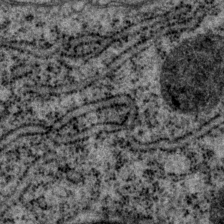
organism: P. pacificus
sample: Pharynx